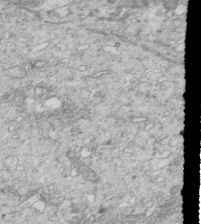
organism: Mouse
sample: Multiciliated cells